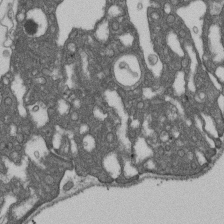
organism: Drosophila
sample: Nephrocyte